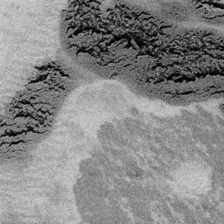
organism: Embia sp.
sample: Silk gland